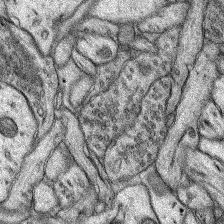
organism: Rat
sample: Hippocampus